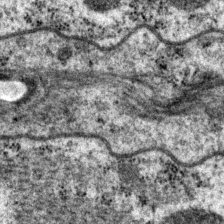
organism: P. pacificus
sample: Pharynx